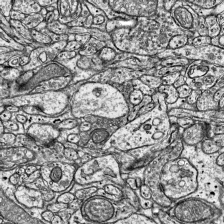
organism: Mouse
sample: Visual Cortex